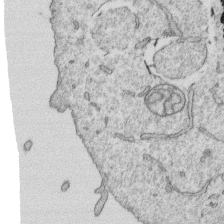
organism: Human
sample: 1205lu cells